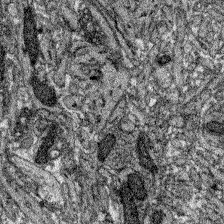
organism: Zebrafish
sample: Larval olfactory bulb